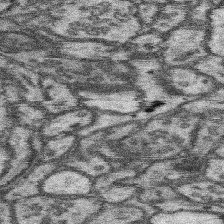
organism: Mouse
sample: Somatosensory cortex neuropil